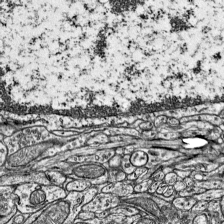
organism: Mouse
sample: Visual Cortex